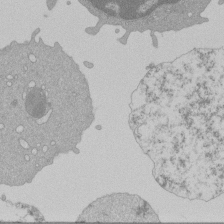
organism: Mouse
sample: Activated Pmel transgenic CD8+ T Cells